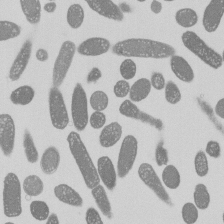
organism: E. coli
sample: Bacterial nucleoid